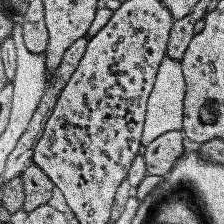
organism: Human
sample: Temporal Lobe